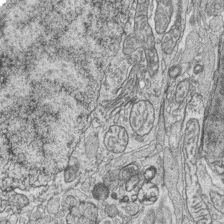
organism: Zebrafish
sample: synaptic ribbons in rod cells and cone cells